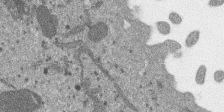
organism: Human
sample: Lung epithelial cells infected with SARS-CoV-2